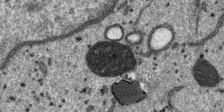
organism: Human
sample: Lung epithelial cells infected with SARS-CoV-2